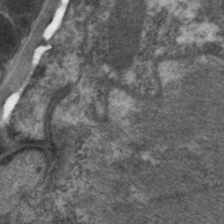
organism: C. elegans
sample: Pharynx